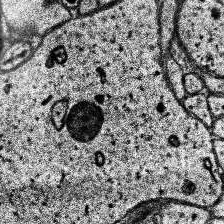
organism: Human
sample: Temporal Lobe